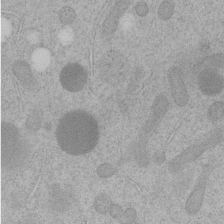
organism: C. elegans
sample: C. elegans embryo early stage